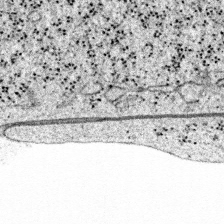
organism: Human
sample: HeLa cells